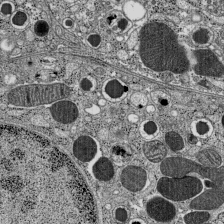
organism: C57BL Mouse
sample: Pancreatic islet